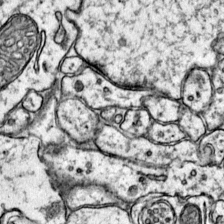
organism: Mouse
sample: Primary visual cortex